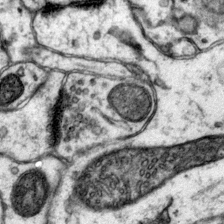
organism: Mouse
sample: Primary visual cortex